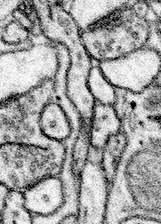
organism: Mouse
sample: Somatosensory cortex neuropil